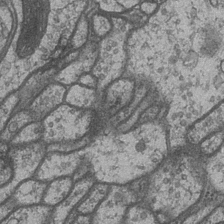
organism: Drosophila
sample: Optic medulla